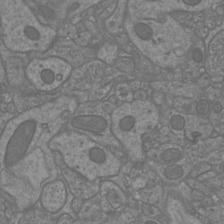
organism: Mouse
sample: Cortical neurons